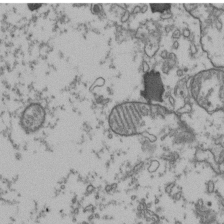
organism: Human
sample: Activated Jurkat CD4+ T cells